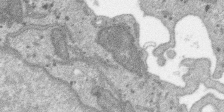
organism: Human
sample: Lung epithelial cells infected with SARS-CoV-2